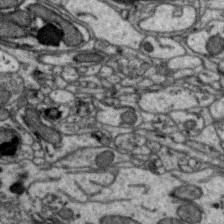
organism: Zebra finch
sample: Brain